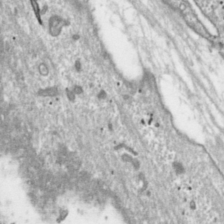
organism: Toxoplasma gondii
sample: Parasites in a vacuole inside a host cell